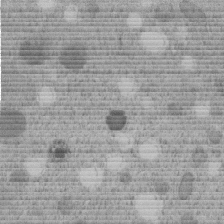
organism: C. elegans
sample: C. elegans embryo early stage